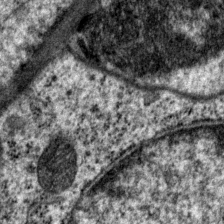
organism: P. pacificus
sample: Pharynx